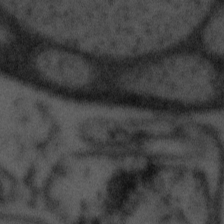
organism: Tuwongella immobilis